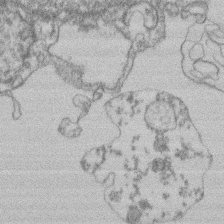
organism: Mouse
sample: T cell stromal cell synapse